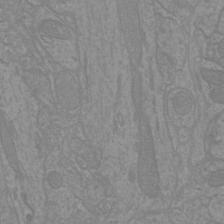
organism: Mouse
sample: Cortical neurons